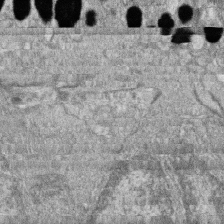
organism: Zebrafish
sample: Cilia; retinal pigment epithelium